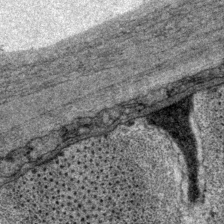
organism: P. pacificus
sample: Pharynx